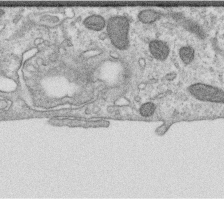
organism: Human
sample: Centriole in RPE cells